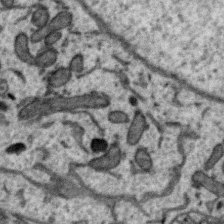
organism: Zebra finch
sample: Brain